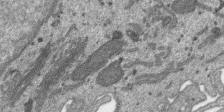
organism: Human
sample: Lung epithelial cells infected with SARS-CoV-2